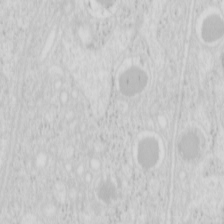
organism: Mouse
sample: Pancreas